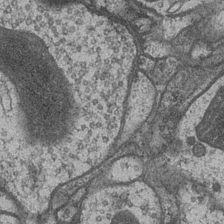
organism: Drosophila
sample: Optic medulla